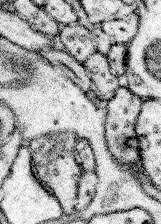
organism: Mouse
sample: Somatosensory cortex neuropil